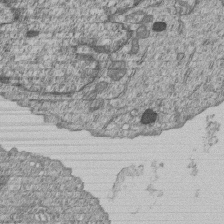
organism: Human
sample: MDA-MB-231 cells